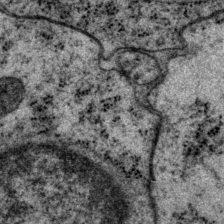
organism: P. pacificus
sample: Pharynx